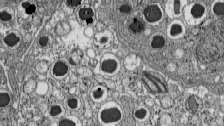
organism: C57BL Mouse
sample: Pancreatic islet